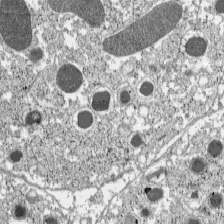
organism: C57BL Mouse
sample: Pancreatic islet